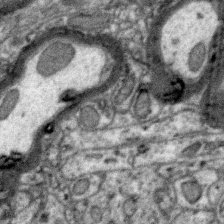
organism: Zebra finch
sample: Brain